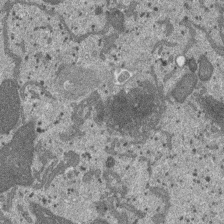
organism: Human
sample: Lung epithelial cells infected with SARS-CoV-2